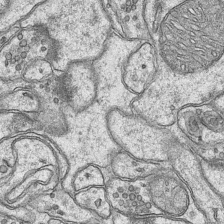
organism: Mouse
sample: CA1 Hippocampus